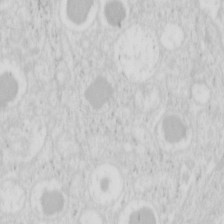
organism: Mouse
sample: Pancreas